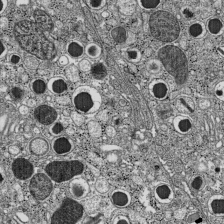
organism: C57BL Mouse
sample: Pancreatic islet